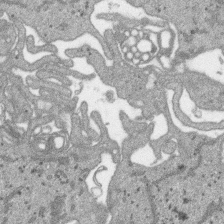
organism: Human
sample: Lung epithelial cells infected with SARS-CoV-2